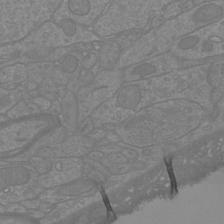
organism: Mouse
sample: Cortical neurons